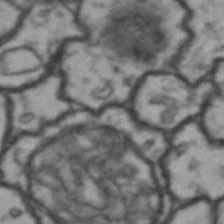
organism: Drosophila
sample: Brain